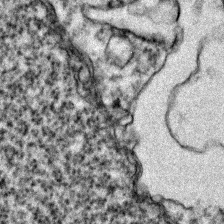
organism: Zebrafish